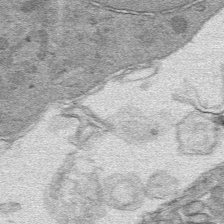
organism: Mouse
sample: Mouse hepatocytes